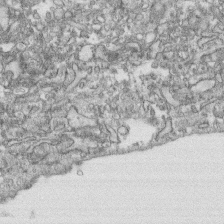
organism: Human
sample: CRL-1474